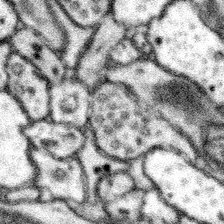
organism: Mouse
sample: Somatosensory cortex neuropil